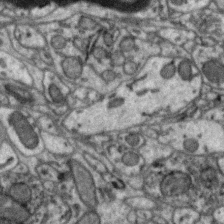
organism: Zebra finch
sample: Brain